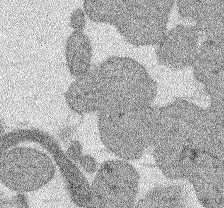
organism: Human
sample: HeLa cells